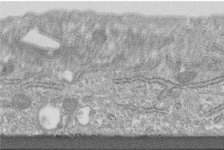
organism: Human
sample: Centriole in fibroblast cells